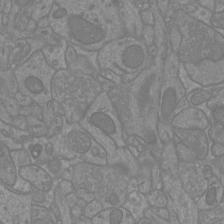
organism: Mouse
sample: Cortical neurons